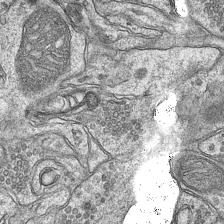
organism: Mouse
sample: CA1 Hippocampus